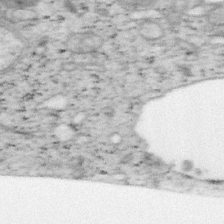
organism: Mouse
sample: OT-I killer T cells with ID8 ovarian cancer cells